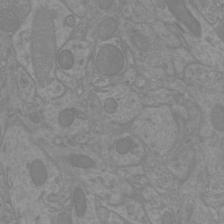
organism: Mouse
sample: Cortical neurons